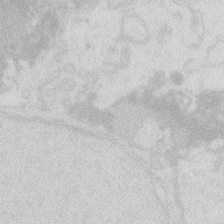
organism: Zebrafish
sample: Macrophage